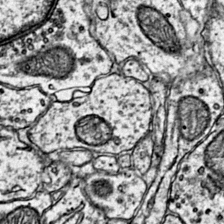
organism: Mouse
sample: Primary visual cortex